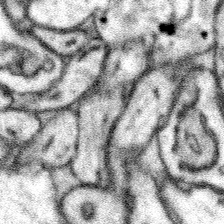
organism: Mouse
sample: Somatosensory cortex neuropil